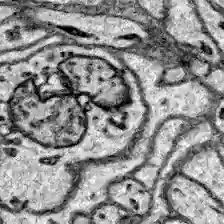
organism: Zebrafish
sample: Brain